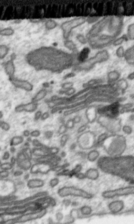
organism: Toxoplasma gondii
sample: Parasites in a vacuole inside a host cell